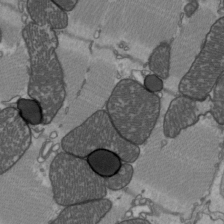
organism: C57BL Mouse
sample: Heart